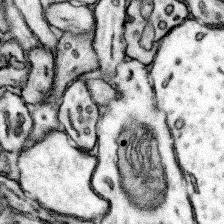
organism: Mouse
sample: Somatosensory cortex neuropil